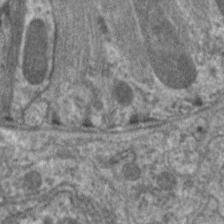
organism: C. elegans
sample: Pharynx